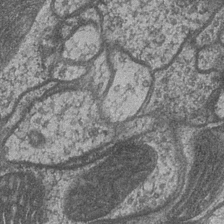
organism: Drosophila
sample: Optic medulla